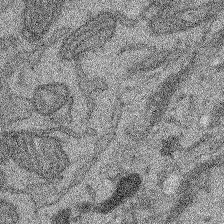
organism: Human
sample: HeLa cells